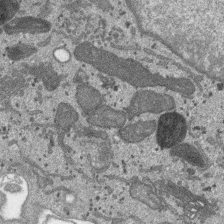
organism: Human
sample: Lung epithelial cells infected with SARS-CoV-2